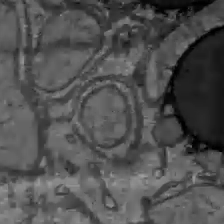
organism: C57BL Mouse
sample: Liver